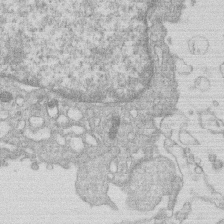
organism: Human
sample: Macrophage cells